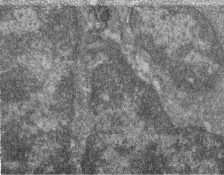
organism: Zebrafish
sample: Cilia; retinal pigment epithelium